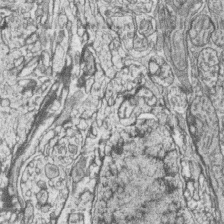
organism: Zebrafish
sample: synaptic ribbons in rod cells and cone cells